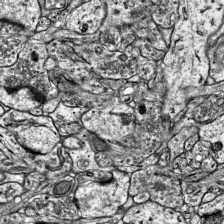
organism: Mouse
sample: Visual Cortex